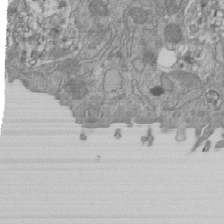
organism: Mouse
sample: ED-1 cell nuclei; centrioles